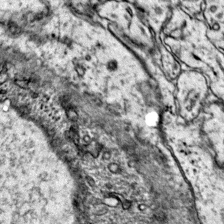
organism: Mouse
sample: Primary visual cortex